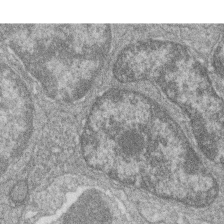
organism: Zebrafish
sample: Cilia; retinal pigment epithelium